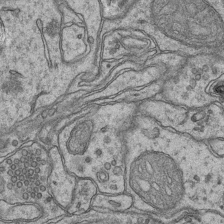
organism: Mouse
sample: CA1 Hippocampus